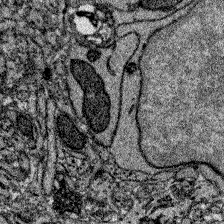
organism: Zebrafish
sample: Larval olfactory bulb